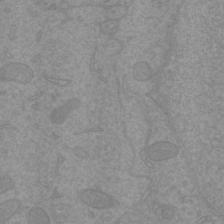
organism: Mouse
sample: Cortical neurons